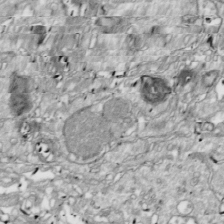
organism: Drosophila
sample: Cell division; meiosis; drosophila spermatocytes